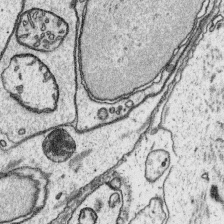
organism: Platynereis dumerilii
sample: Parapodia